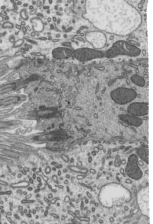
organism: Mouse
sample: Mouse epididymis efferent ductule cilia